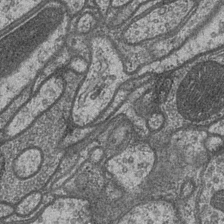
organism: Drosophila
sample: Optic medulla